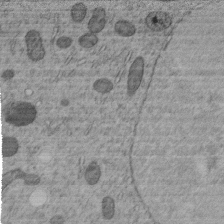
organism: C. elegans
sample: C. elegans embryo early stage